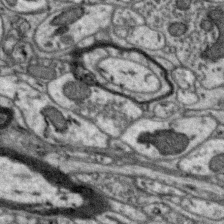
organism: Zebra finch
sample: Brain